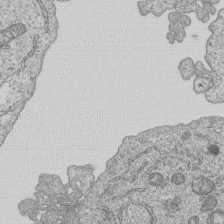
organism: Human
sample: MDA-MB-231 cells